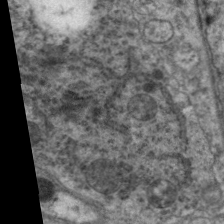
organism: C. elegans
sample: Pharynx